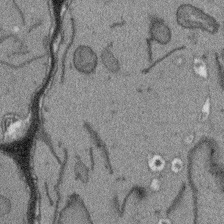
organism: Arabidopsis thaliana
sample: Root tip